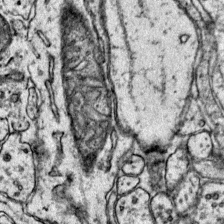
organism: Mouse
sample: Primary visual cortex